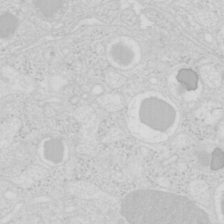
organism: Mouse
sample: Pancreas